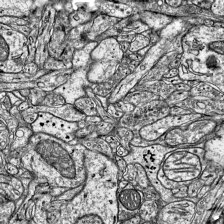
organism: Mouse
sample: Visual Cortex